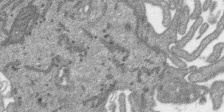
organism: Human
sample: Lung epithelial cells infected with SARS-CoV-2